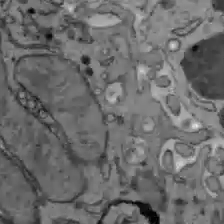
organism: C57BL Mouse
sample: Liver